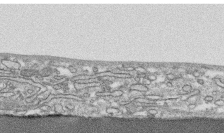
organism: Human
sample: CRL-1474